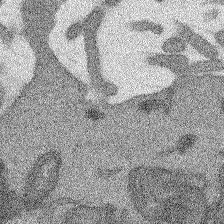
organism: Human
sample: HeLa cells